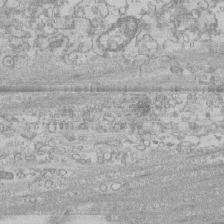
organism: Human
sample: CRL-1474